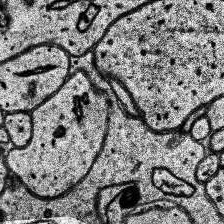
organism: Human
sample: Temporal Lobe